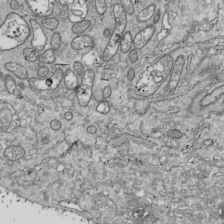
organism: Drosophila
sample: Cell division; meiosis; drosophila spermatocytes